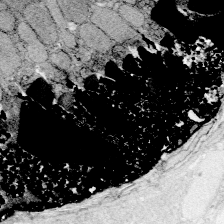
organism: Zebrafish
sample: Whole-Brain